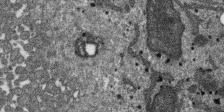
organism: Human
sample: Lung epithelial cells infected with SARS-CoV-2